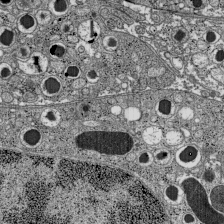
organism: C57BL Mouse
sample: Pancreatic islet